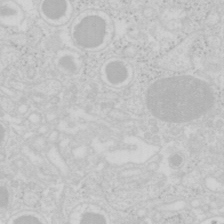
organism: Mouse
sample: Pancreas